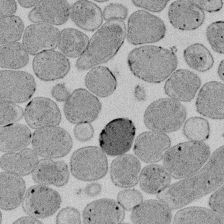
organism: E. coli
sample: Bacterial nucleoid